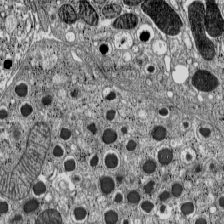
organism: C57BL Mouse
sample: Pancreatic islet